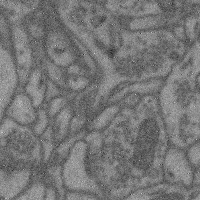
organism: Mouse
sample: Cerebral cortex